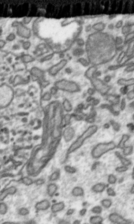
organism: Toxoplasma gondii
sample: Parasites in a vacuole inside a host cell